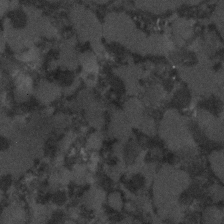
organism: C. elegans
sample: C. elegans embryo